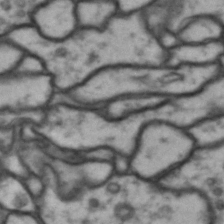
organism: Drosophila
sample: Brain